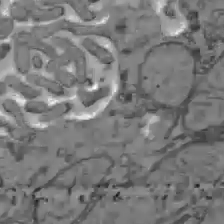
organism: C57BL Mouse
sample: Liver